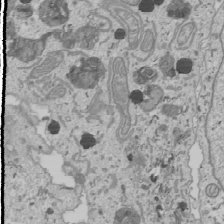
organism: Human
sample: Mitochondria in U2OS cells